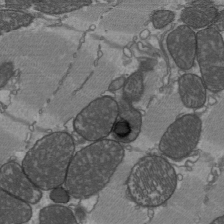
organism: C57BL Mouse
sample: Heart